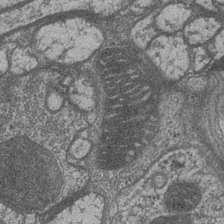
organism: Drosophila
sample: Optic medulla